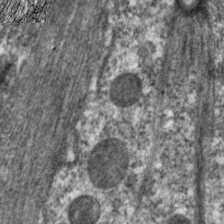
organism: C. elegans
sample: Pharynx